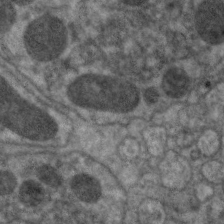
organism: C. elegans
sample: Pharynx